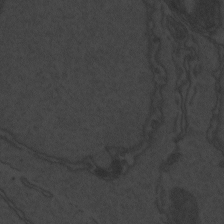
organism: Zebrafish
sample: Macrophage infected with Toxoplasma gondii